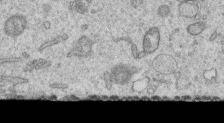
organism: Human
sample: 1205lu cells